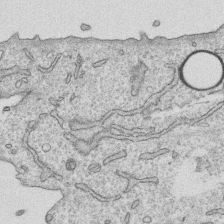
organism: Human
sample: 1205lu cells